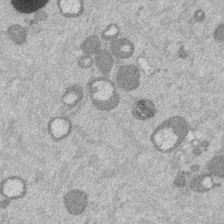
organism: Mouse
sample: Dividing mouse embryo 1 cell stage